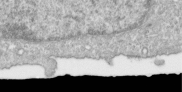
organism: Human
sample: Centriole in RPE cells